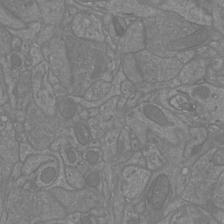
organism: Mouse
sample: Cortical neurons